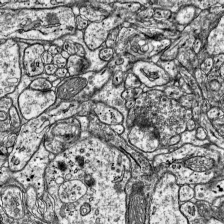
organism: Mouse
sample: Visual Cortex